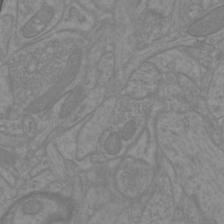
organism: Mouse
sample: Cortical neurons